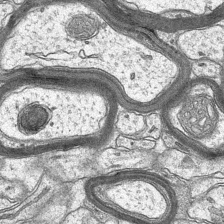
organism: Mouse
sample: CA1 Hippocampus